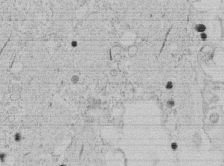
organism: Tetrahymena